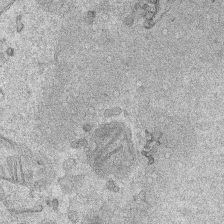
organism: Human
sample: Mitochondria in HCT116 cells